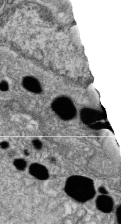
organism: Zebrafish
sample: Cilia; retinal pigment epithelium